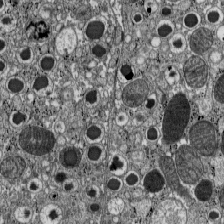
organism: C57BL Mouse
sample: Pancreatic islet